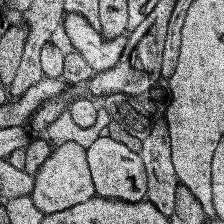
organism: Human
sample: Temporal Lobe